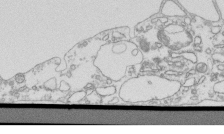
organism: Mouse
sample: Macrophages